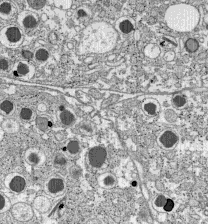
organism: C57BL Mouse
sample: Pancreatic islet